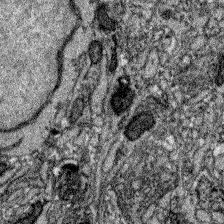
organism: Zebrafish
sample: Larval olfactory bulb